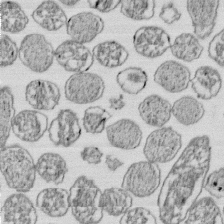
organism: E. coli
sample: Bacterial nucleoid